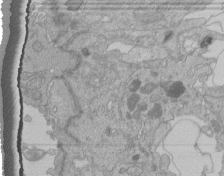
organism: Human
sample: Retinal organoid Rod and Cone cells